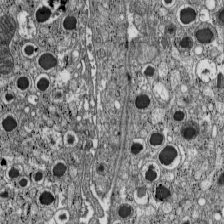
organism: C57BL Mouse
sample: Pancreatic islet